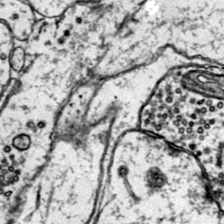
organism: Mouse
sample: Primary visual cortex